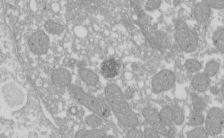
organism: Xenopus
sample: Cilia; centrioles in frog embryo cells